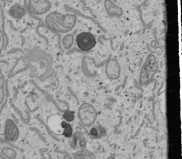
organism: Human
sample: Mitochondria in U2OS cells